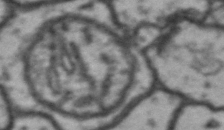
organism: Drosophila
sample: Brain